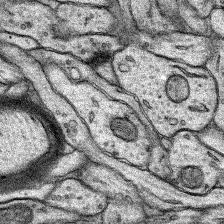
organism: Rat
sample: Hippocampus